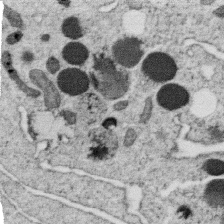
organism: C. elegans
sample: C. elegans oocyte; sperm cells